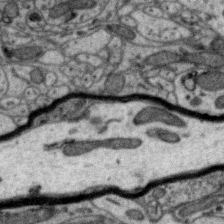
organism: Zebra finch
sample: Brain